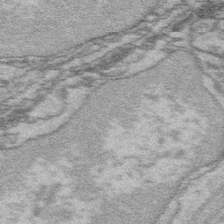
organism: Platynereis dumerilii